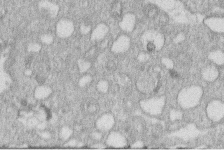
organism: Human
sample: Macrophage cells